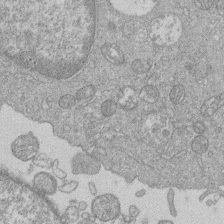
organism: Human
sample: Macrophage cells